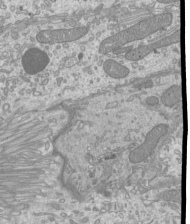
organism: Mouse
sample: Cilia; mouse epididymis